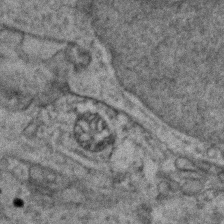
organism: Zebrafish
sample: Zebrafish embryo